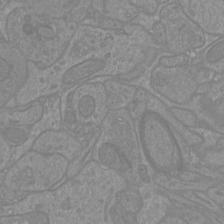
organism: Mouse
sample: Cortical neurons